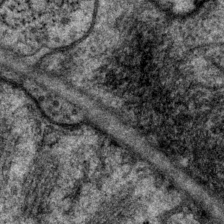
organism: P. pacificus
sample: Pharynx